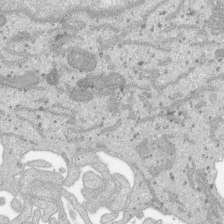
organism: Human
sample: Lung epithelial cells infected with SARS-CoV-2